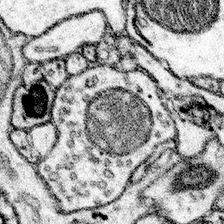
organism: Mouse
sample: Somatosensory cortex neuropil